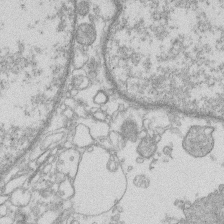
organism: Human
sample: Macrophage cells